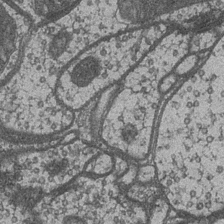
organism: Drosophila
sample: Optic medulla